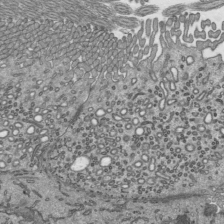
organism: Mouse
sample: Mouse epididymis efferent ductule cilia